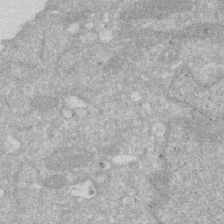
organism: Human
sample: HIV infected U937 cells